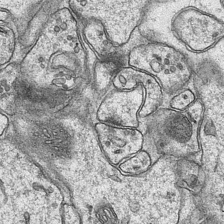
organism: Mouse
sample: CA1 Hippocampus